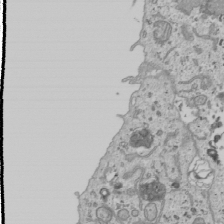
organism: Human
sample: Mitochondria in U2OS cells